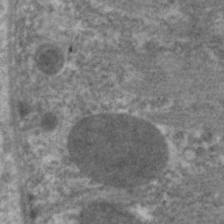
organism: C. elegans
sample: Pharynx